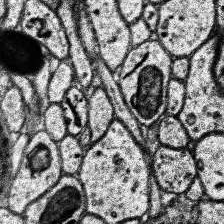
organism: Human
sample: Temporal Lobe